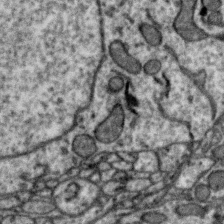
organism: Zebra finch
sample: Brain